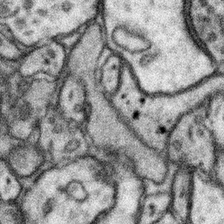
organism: Mouse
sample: Somatosensory cortex neuropil